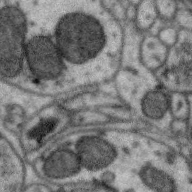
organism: Zebra finch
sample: Brain